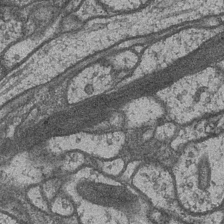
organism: Drosophila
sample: Optic medulla